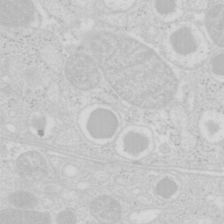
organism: Mouse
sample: Pancreas